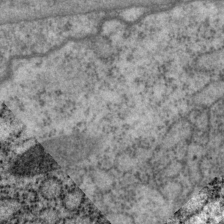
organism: P. pacificus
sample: Pharynx